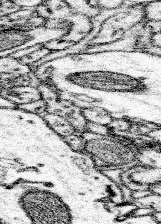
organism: Mouse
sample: Somatosensory cortex neuropil